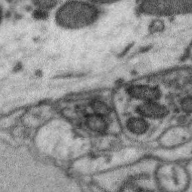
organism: Zebra finch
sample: Brain